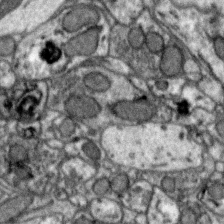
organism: Zebra finch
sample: Brain